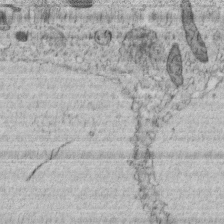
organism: C. elegans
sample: C. elegans embryo early stage